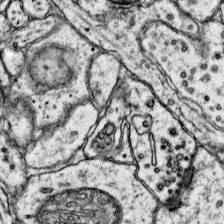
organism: Mouse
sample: Primary visual cortex